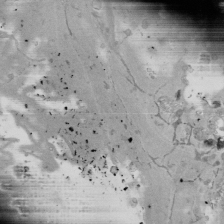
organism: Mouse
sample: ED-1 cell nuclei; centrioles